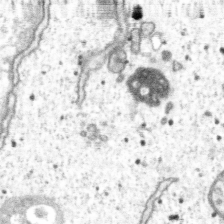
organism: Human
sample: HeLa cells